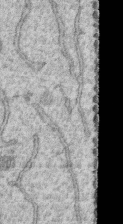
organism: Human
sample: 1205lu cells